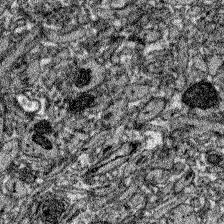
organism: Zebrafish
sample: Larval olfactory bulb